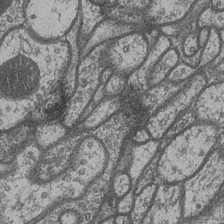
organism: Drosophila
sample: Optic medulla